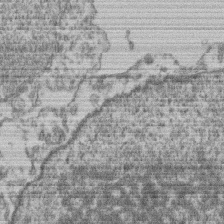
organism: Mouse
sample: T cell stromal cell synapse